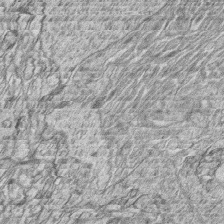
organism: Zebrafish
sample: synaptic ribbons in rod cells and cone cells